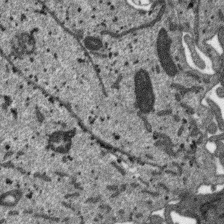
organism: Human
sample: Lung epithelial cells infected with SARS-CoV-2